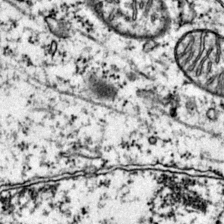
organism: Mouse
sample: Primary visual cortex